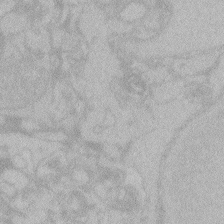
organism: Zebrafish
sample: Macrophage infected with Toxoplasma gondii